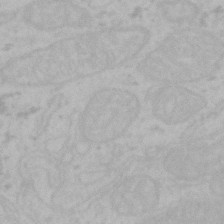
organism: Mouse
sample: Choroid plexus